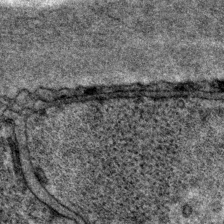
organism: P. pacificus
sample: Pharynx